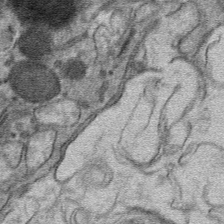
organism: Mouse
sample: Mouse hepatocytes